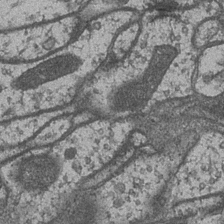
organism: Drosophila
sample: Optic medulla